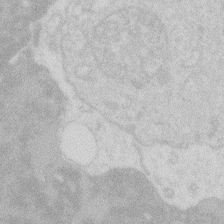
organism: Zebrafish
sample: Macrophage